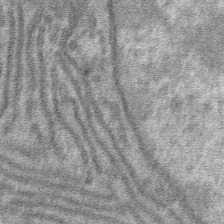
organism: Mouse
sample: Mouse hepatocytes